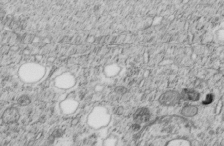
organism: C. elegans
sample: C. elegans embryo early stage